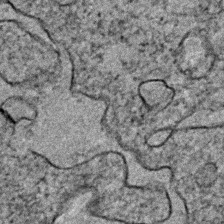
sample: Trachea